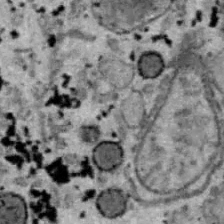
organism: Mouse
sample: Liver from an obese (ob/ob) mouse